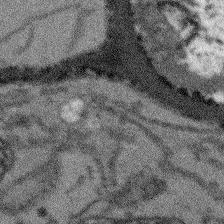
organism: Arabidopsis thaliana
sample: Root tip